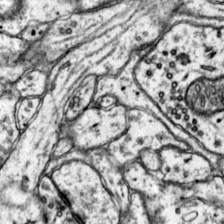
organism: Mouse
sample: Primary visual cortex